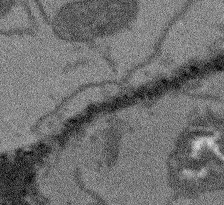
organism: Arabidopsis thaliana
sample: Root tip